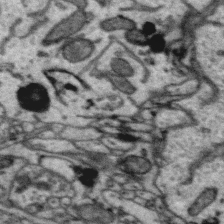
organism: Zebra finch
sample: Brain